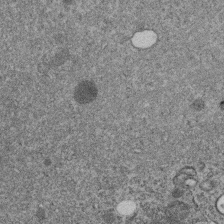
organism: C. elegans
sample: C. elegans embryo early stage